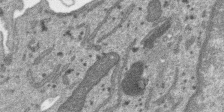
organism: Human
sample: Lung epithelial cells infected with SARS-CoV-2